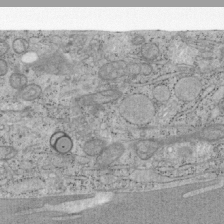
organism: Human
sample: HeLa cells